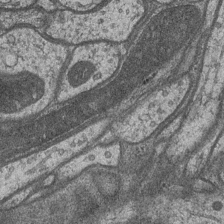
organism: Drosophila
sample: Optic medulla